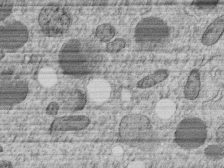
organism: C. elegans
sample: C. elegans embryo early stage